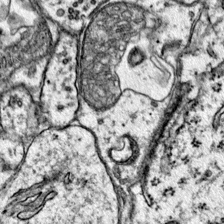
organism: Mouse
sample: Primary visual cortex